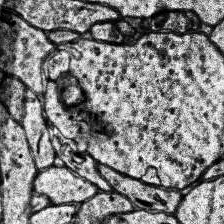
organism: Human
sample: Temporal Lobe